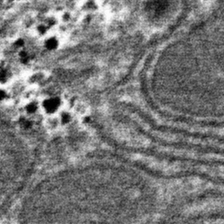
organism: Mouse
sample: Mouse hepatocytes